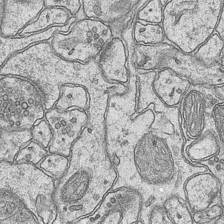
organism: Mouse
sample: CA1 Hippocampus